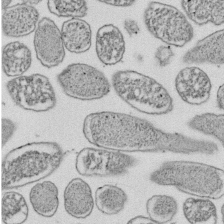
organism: E. coli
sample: Bacterial nucleoid